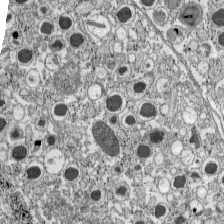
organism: C57BL Mouse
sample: Pancreatic islet